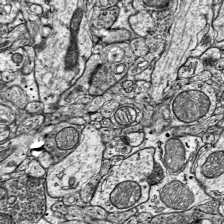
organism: Mouse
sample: Visual Cortex